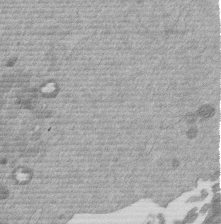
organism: Mouse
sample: Dividing mouse embryo 1 cell stage